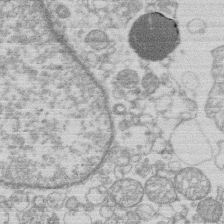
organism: Human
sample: Macrophage cells